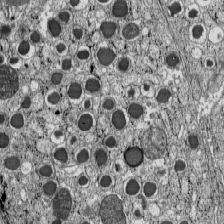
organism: C57BL Mouse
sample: Pancreatic islet